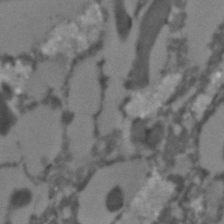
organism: C. elegans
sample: C. elegans embryo